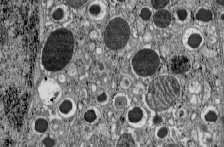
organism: C57BL Mouse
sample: Pancreatic islet